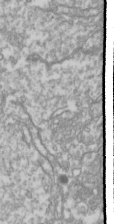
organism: Drosophila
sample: Cell division; meiosis; drosophila spermatocytes